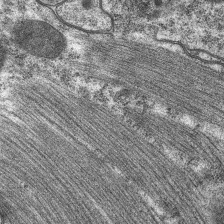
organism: C. elegans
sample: Pharynx